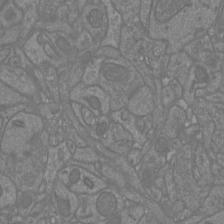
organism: Mouse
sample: Cortical neurons